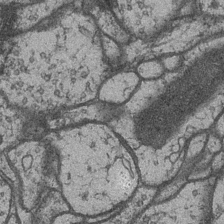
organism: Drosophila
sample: Optic medulla